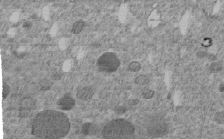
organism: C. elegans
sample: C. elegans embryo early stage